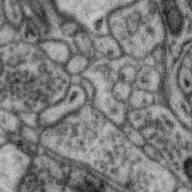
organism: Zebra finch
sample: Brain